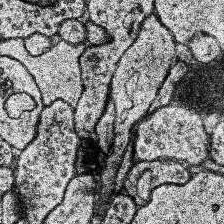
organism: Human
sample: Temporal Lobe